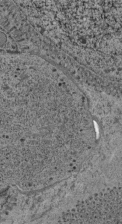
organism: C. elegans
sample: C. elegans pharynx